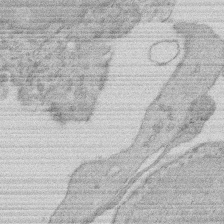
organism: Rat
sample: Salivary granule